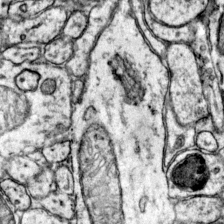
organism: Mouse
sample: Primary visual cortex